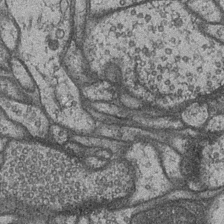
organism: Drosophila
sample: Optic medulla